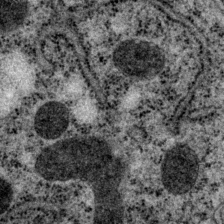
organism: P. pacificus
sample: Pharynx